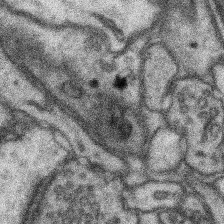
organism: Mouse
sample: Somatosensory cortex neuropil